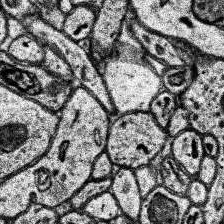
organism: Human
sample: Temporal Lobe